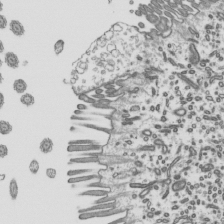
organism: Mouse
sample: Mouse epididymis efferent ductule cilia